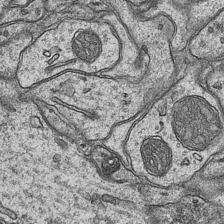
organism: Mouse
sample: CA1 Hippocampus